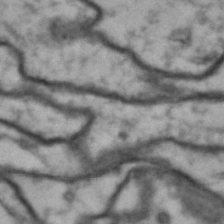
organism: Drosophila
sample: Brain